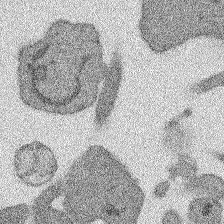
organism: Human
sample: HeLa cells